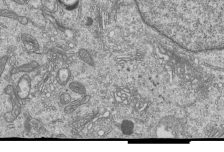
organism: Human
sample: MDA-MB-231 cells